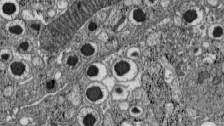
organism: C57BL Mouse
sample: Pancreatic islet